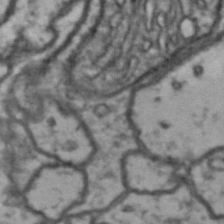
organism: Drosophila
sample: Brain